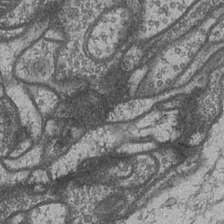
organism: Drosophila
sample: Optic medulla